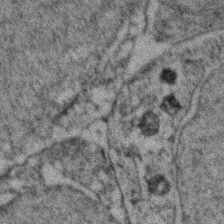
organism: Zebrafish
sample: Zebrafish embryo